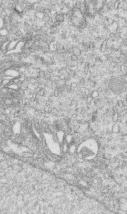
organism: Human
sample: HeLa cell HIV synapse